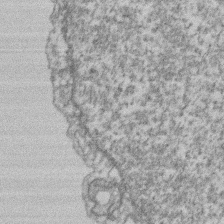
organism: Mouse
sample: T cell stromal cell synapse